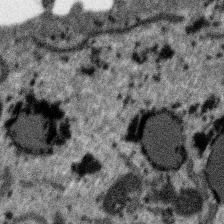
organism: Human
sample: Lung epithelial cells infected with SARS-CoV-2